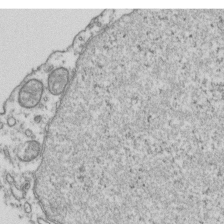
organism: Human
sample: Activated Jurkat CD4+ T cells